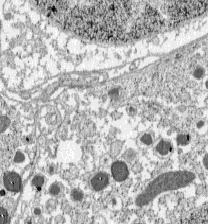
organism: C57BL Mouse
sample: Pancreatic islet